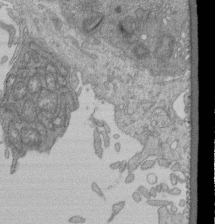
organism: Human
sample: Retinal organoid Rod and Cone cells